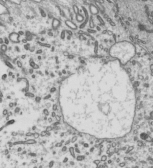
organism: Mouse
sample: Mouse epididymis efferent ductule cilia